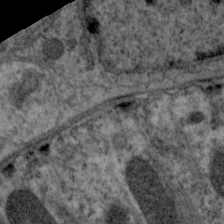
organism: C. elegans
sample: Pharynx